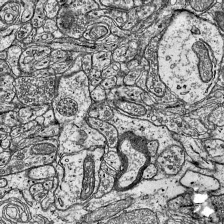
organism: Mouse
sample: Visual Cortex